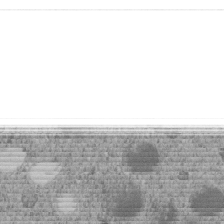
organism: C. elegans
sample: C. elegans embryo early stage